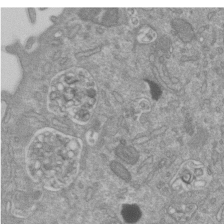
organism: Mouse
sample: ED-1 cell nuclei; centrioles